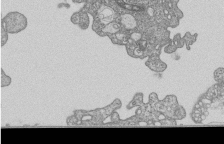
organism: Human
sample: MDA-MB-231 cells